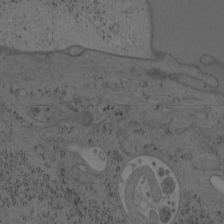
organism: Mouse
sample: OT-I killer T cells with ID8 ovarian cancer cells